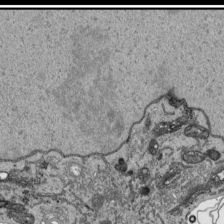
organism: Human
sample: Mitochondria in HCT116 cells